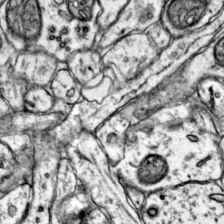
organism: Mouse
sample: Primary visual cortex